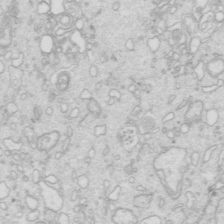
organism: Mouse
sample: Multiciliated cells